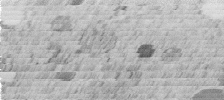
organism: C. elegans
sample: C. elegans embryo early stage